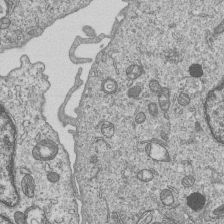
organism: Human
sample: MDA-MB-231 cells